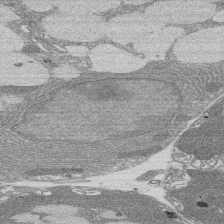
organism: Rat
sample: Salivary granule